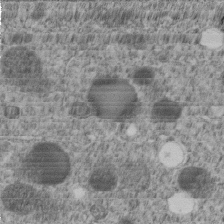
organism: C. elegans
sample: C. elegans embryo early stage